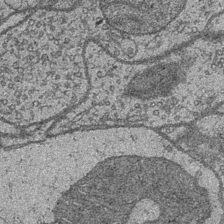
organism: Drosophila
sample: Optic medulla